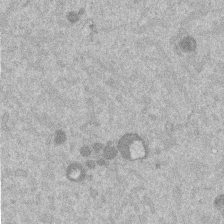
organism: Mouse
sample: Dividing mouse embryo 1 cell stage